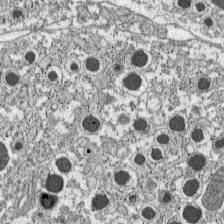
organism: C57BL Mouse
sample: Pancreatic islet